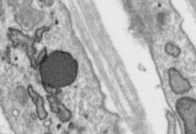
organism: Toxoplasma gondii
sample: Parasites in a vacuole inside a host cell